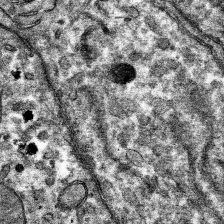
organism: Mouse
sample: Mouse hepatocytes